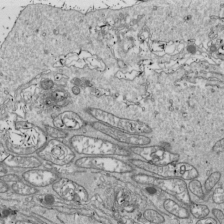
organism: Drosophila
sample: Cell division; meiosis; drosophila spermatocytes